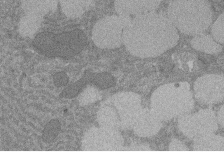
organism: Rat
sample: Salivary granule